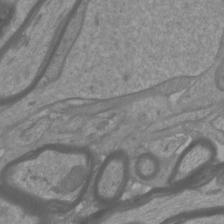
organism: Mouse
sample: Cortical neurons